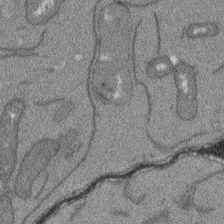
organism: Arabidopsis thaliana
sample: Root tip